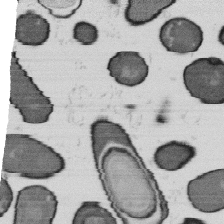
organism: B. subtilis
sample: Bacterial spore